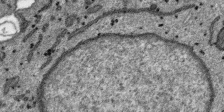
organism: Human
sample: Lung epithelial cells, uninfected (mock) control